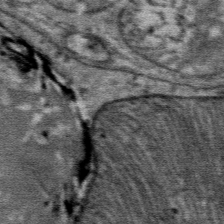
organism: Mouse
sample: Mouse Salivary gland